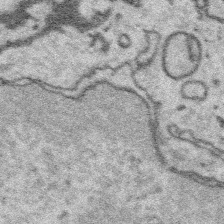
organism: Platynereis dumerilii